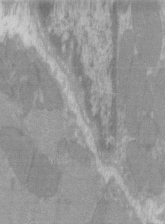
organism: C57BL Mouse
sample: Tibialis anterior muscle cell